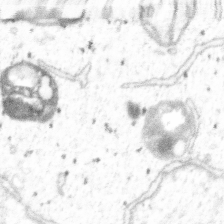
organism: Human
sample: HeLa cells